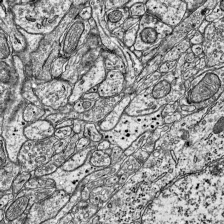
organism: Mouse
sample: Visual Cortex